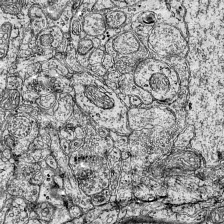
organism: Mouse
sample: Visual Cortex